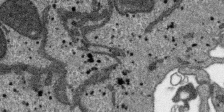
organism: Human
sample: Lung epithelial cells, uninfected (mock) control